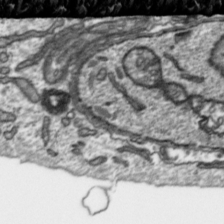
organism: Toxoplasma gondii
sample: Parasites in a vacuole inside a host cell